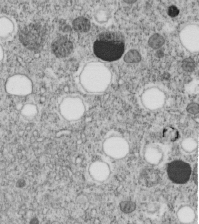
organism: C. elegans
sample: C. elegans embryo early stage